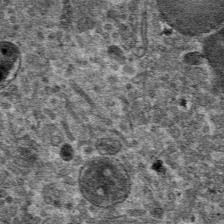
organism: Mouse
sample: Mouse hepatocytes